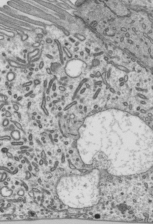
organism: Mouse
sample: Mouse epididymis efferent ductule cilia